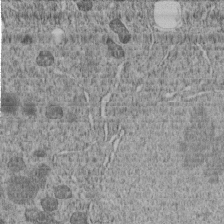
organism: C. elegans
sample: C. elegans embryo early stage